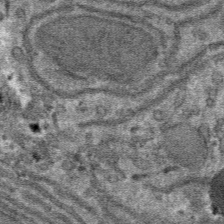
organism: Mouse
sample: Mouse hepatocytes